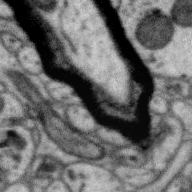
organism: Zebra finch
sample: Brain